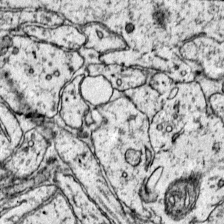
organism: Mouse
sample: Primary visual cortex